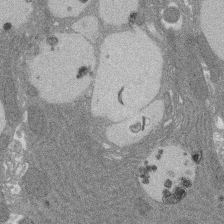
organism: Rat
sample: Salivary granule